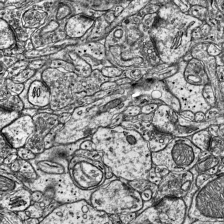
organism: Mouse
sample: Visual Cortex